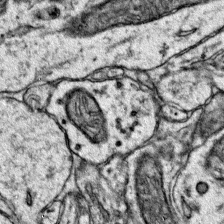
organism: Mouse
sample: Primary visual cortex